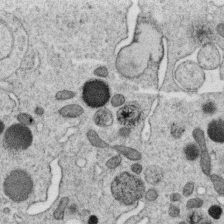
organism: C. elegans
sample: C. elegans oocyte; sperm cells